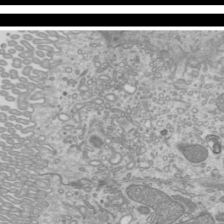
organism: Mouse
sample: Cilia; mouse epididymis